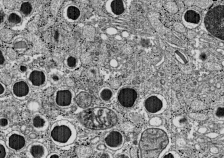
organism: C57BL Mouse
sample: Pancreatic islet